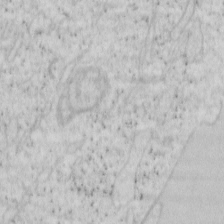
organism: Human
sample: HeLa cells